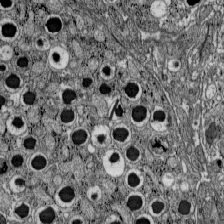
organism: C57BL Mouse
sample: Pancreatic islet